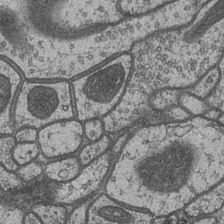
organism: Drosophila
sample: Optic medulla